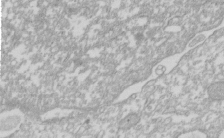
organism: Xenopus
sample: Cilia; centrioles in frog embryo cells